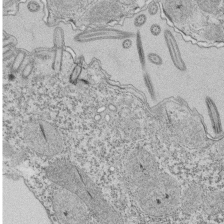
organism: Tetrahymena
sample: Cilia in tetrahymena